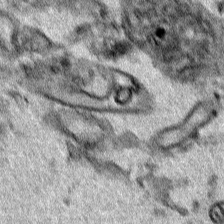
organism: Human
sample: Mitochondria in HCT116 cells